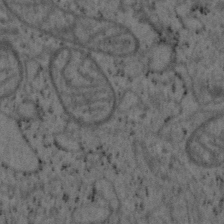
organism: Human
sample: HeLa cells